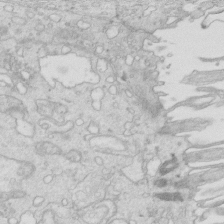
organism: Mouse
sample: Multiciliated cells